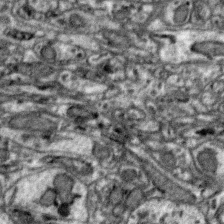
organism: Zebra finch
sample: Brain